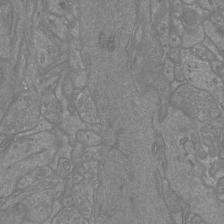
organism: Mouse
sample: Cortical neurons